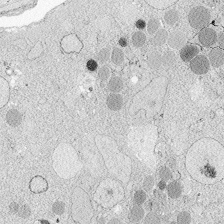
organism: Zebrafish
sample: Whole-Brain